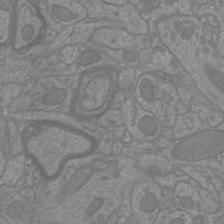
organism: Mouse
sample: Cortical neurons